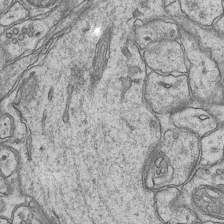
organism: Mouse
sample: CA1 Hippocampus